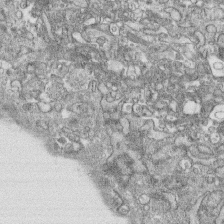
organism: Human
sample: CRL-1474